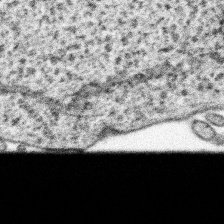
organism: Human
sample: HeLa cells